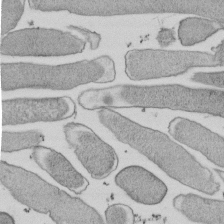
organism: E. coli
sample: Bacterial nucleoid